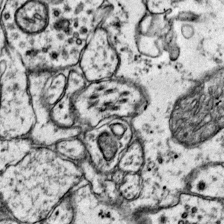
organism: Mouse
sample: Primary visual cortex